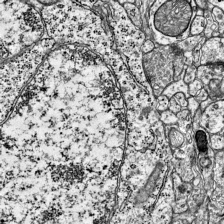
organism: Mouse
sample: Visual Cortex